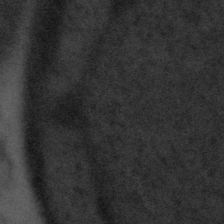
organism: Tuwongella immobilis